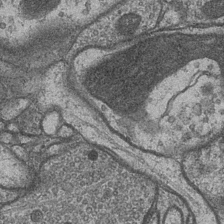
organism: Drosophila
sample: Optic medulla